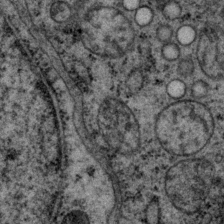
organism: P. pacificus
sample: Pharynx